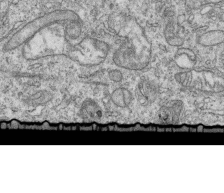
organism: Human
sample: HeLa cell HIV synapse